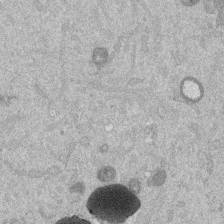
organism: Mouse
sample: Dividing mouse embryo 1 cell stage